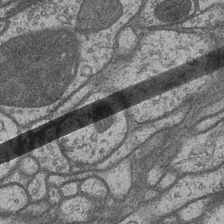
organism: Drosophila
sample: Optic medulla